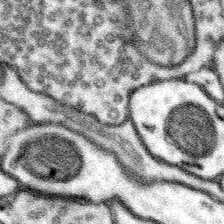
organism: Mouse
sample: Somatosensory cortex neuropil